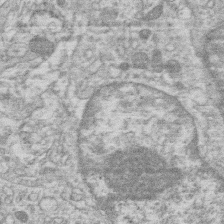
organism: Human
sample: Macrophage cells